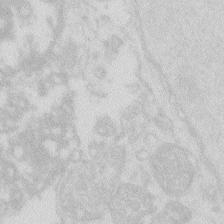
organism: Zebrafish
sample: Macrophage